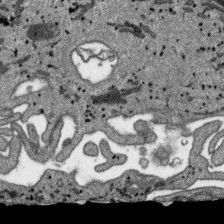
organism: Human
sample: Lung epithelial cells, uninfected (mock) control